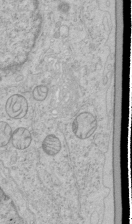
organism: Human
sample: Mitochondria in HCT116 cells